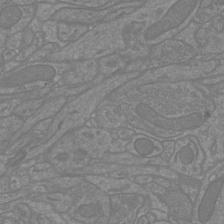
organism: Mouse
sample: Cortical neurons